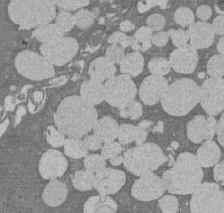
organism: Rat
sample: Salivary granule